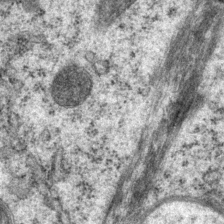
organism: P. pacificus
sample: Pharynx